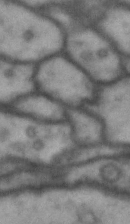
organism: Drosophila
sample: Brain